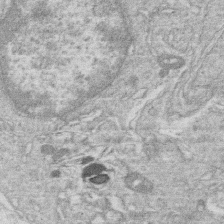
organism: Human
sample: Macrophage cells